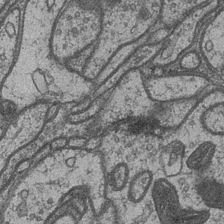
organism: Drosophila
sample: Optic medulla